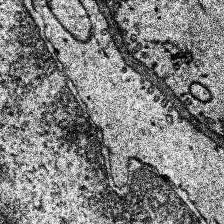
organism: Human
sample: Temporal Lobe